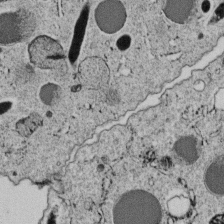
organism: C. elegans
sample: C. elegans embryo early stage